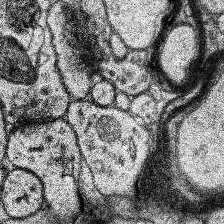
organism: Human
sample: Temporal Lobe